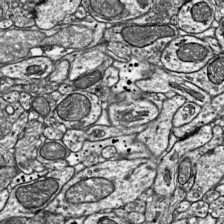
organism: Mouse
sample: Visual Cortex